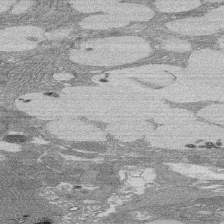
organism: Rat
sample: Salivary granule